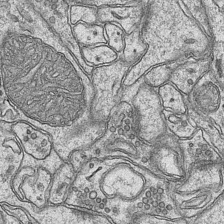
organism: Mouse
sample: CA1 Hippocampus